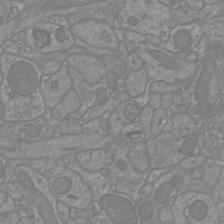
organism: Mouse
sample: Cortical neurons